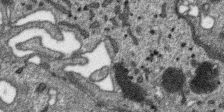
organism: Human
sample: Lung epithelial cells infected with SARS-CoV-2